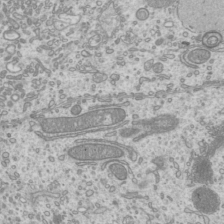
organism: Mouse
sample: Cilia; mouse epididymis